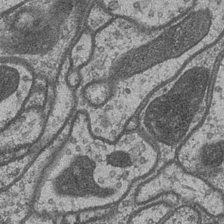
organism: Drosophila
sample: Optic medulla